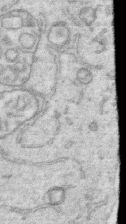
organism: Human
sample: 1205lu cells